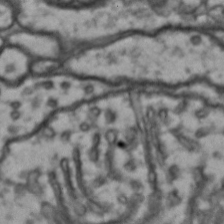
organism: Drosophila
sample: Brain